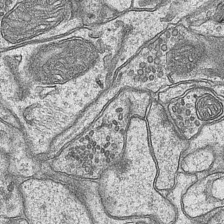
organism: Mouse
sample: CA1 Hippocampus